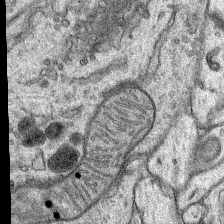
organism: Rat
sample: Hippocampus